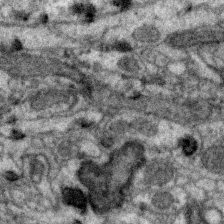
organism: Zebra finch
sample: Brain